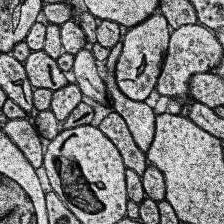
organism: Human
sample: Temporal Lobe